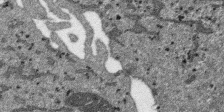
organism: Human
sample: Lung epithelial cells infected with SARS-CoV-2